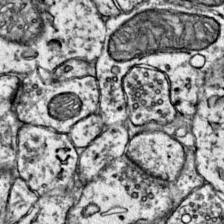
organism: Mouse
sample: Primary visual cortex